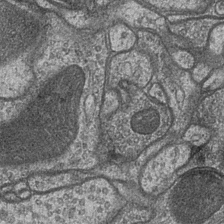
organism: Drosophila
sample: Optic medulla